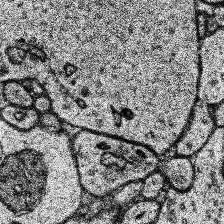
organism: Human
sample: Temporal Lobe